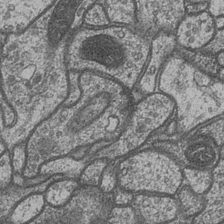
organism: Drosophila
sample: Optic medulla